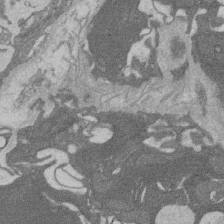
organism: Rat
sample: Salivary granule